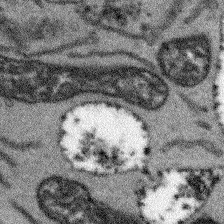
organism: Arabidopsis thaliana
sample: Root tip